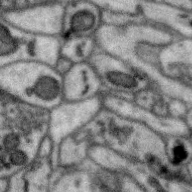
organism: Zebra finch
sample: Brain